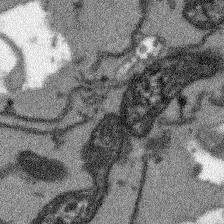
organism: Arabidopsis thaliana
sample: Root tip